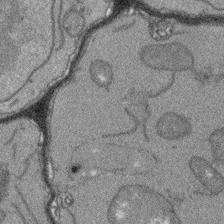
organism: Arabidopsis thaliana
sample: Root tip